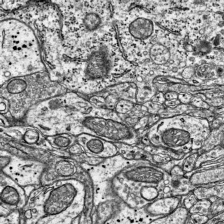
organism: Mouse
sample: Visual Cortex